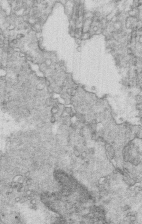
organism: Mouse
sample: Multiciliated cells